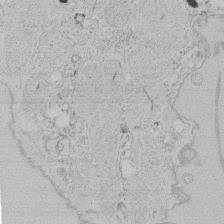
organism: Tetrahymena